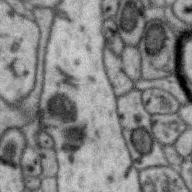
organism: Zebra finch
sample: Brain